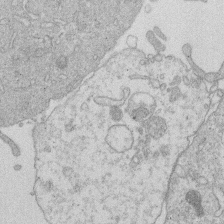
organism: Human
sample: Macrophage cells